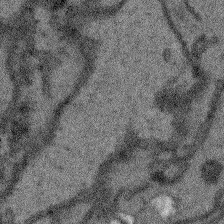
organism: Arabidopsis thaliana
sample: Root tip